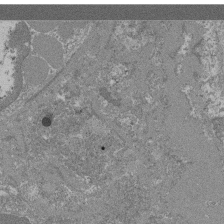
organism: Mouse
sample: Glomerulus